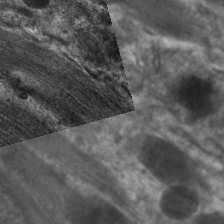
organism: C. elegans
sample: Pharynx